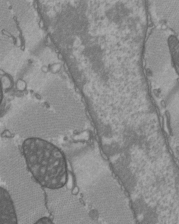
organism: C57BL Mouse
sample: Heart